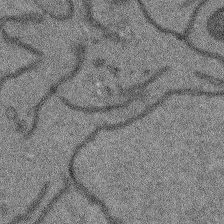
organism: Arabidopsis thaliana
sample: Root tip